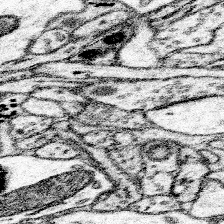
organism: Mouse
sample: Somatosensory cortex neuropil